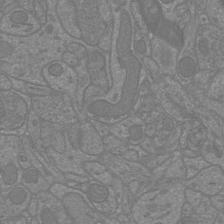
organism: Mouse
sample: Cortical neurons